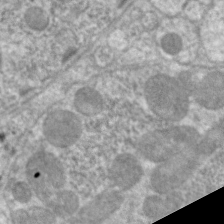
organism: C. elegans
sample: Pharynx